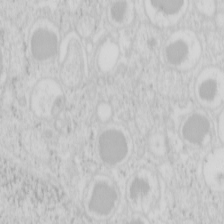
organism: Mouse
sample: Pancreas